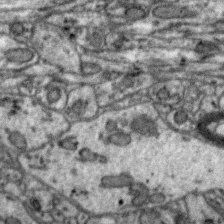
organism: Zebra finch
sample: Brain